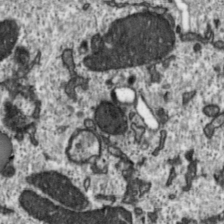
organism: Toxoplasma gondii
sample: Parasites in a vacuole inside a host cell